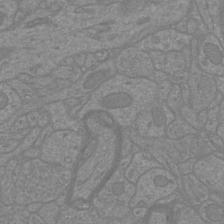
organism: Mouse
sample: Cortical neurons